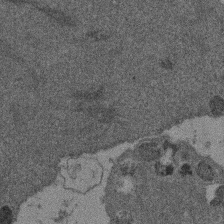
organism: Mouse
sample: Dividing mouse embryo 1 cell stage